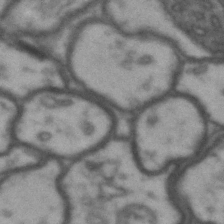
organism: Drosophila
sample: Brain